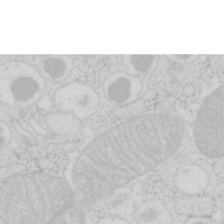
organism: Mouse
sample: Pancreas